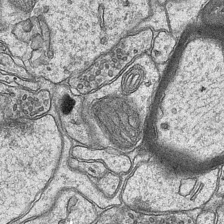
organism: Mouse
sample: CA1 Hippocampus